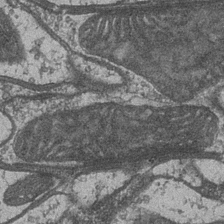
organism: Drosophila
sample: Optic medulla